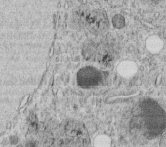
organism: C. elegans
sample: C. elegans embryo early stage